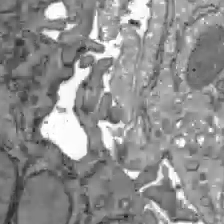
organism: C57BL Mouse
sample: Liver